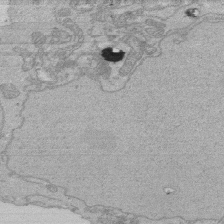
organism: Human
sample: Activated Jurkat CD4+ T cells